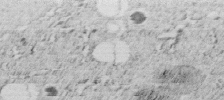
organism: C. elegans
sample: C. elegans embryo early stage